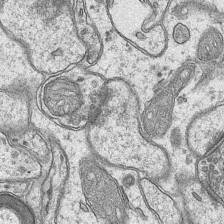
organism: Mouse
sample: CA1 Hippocampus